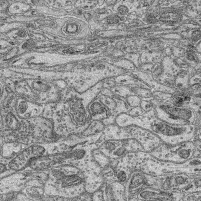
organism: Mouse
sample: Retina